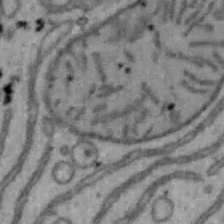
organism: Mouse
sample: Liver